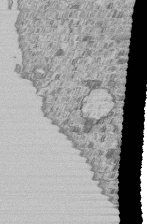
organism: Human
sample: MDA-MB-231 cells